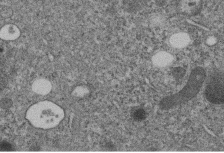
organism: C. elegans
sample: C. elegans embryo early stage